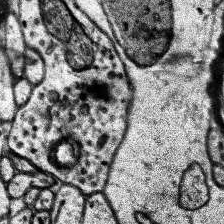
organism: Human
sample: Temporal Lobe